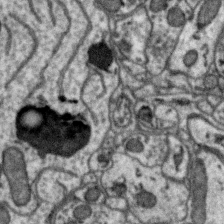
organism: Zebra finch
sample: Brain